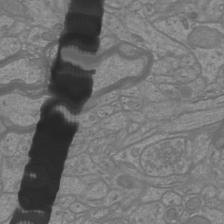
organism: Mouse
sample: Cortical neurons